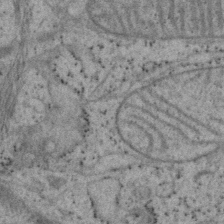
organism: Human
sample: HeLa cells